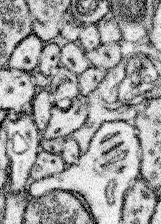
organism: Mouse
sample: Somatosensory cortex neuropil